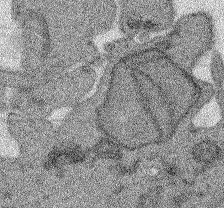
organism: Human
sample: HeLa cells